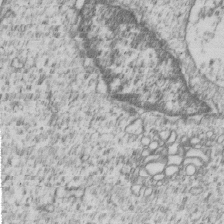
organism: Human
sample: MDA-MB-231 cells